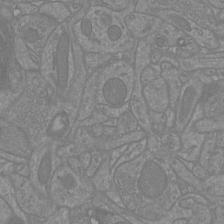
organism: Mouse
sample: Cortical neurons